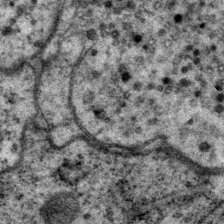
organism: P. pacificus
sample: Pharynx